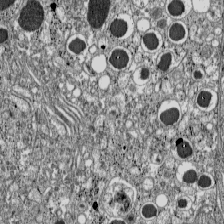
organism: C57BL Mouse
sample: Pancreatic islet